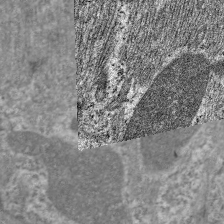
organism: C. elegans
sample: Pharynx